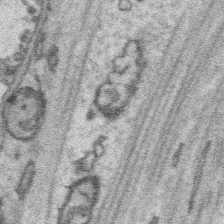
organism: Platynereis dumerilii